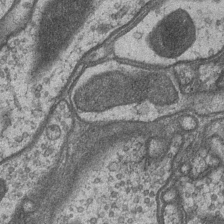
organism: Drosophila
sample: Optic medulla